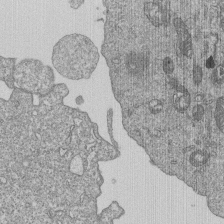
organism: Human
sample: MDA-MB-231 cells